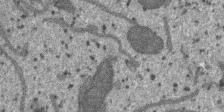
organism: Human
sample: Lung epithelial cells infected with SARS-CoV-2